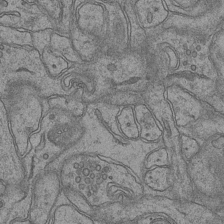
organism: Mouse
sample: CA1 Hippocampus